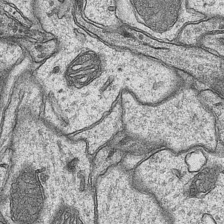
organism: Mouse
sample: CA1 Hippocampus